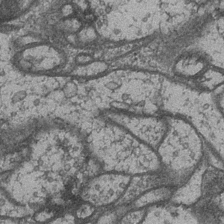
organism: Drosophila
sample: Optic medulla